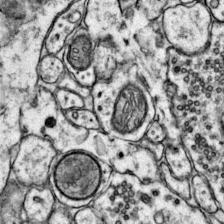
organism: Mouse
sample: Primary visual cortex